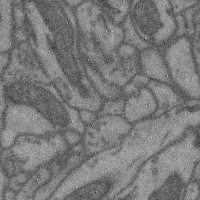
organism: Mouse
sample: Cerebral cortex